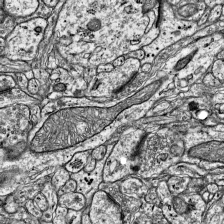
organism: Mouse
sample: Visual Cortex